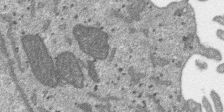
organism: Human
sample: Lung epithelial cells infected with SARS-CoV-2